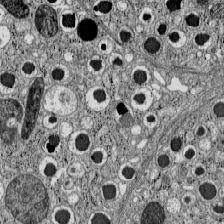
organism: C57BL Mouse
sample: Pancreatic islet